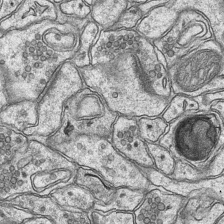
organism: Mouse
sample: CA1 Hippocampus